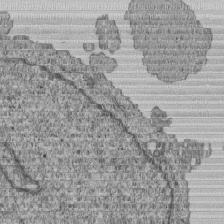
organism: Human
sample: MDA-MB-231 cells